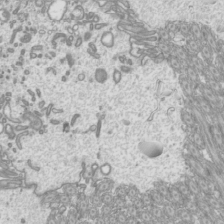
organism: Mouse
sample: Cilia; mouse epididymis